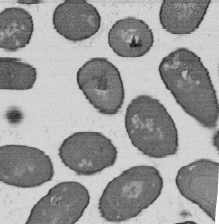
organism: B. subtilis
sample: Bacterial spore